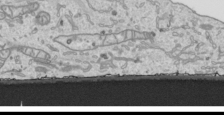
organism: Human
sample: Mitochondria in HCT116 cells